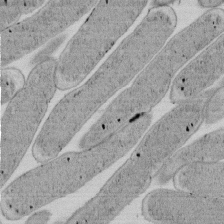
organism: E. coli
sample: Bacterial nucleoid